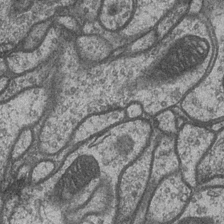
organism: Drosophila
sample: Optic medulla